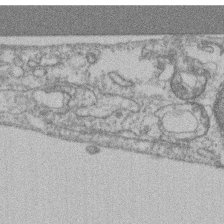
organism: Mouse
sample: T cell stromal cell synapse